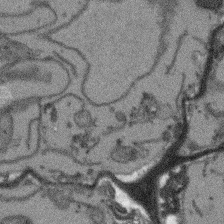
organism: Arabidopsis thaliana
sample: Root tip